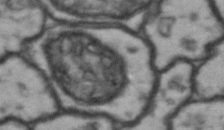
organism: Drosophila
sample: Brain